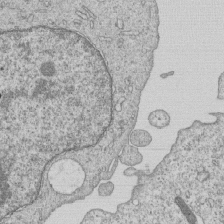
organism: Human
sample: MDA-MB-231 cells